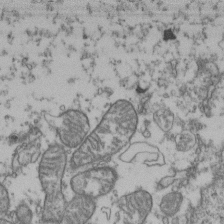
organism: Human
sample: Activated Jurkat CD4+ T cells